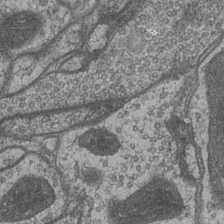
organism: Drosophila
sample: Optic medulla